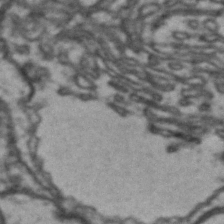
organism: Drosophila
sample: Brain